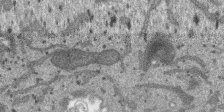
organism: Human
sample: Lung epithelial cells infected with SARS-CoV-2